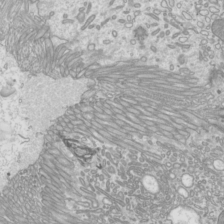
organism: Mouse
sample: Cilia; mouse epididymis